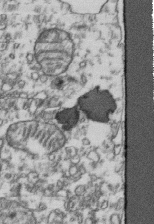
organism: Human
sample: Activated Jurkat CD4+ T cells